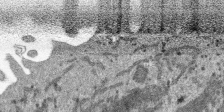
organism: Human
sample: Lung epithelial cells infected with SARS-CoV-2